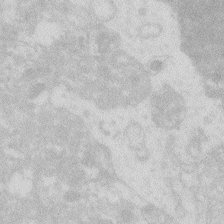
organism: Zebrafish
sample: Macrophage